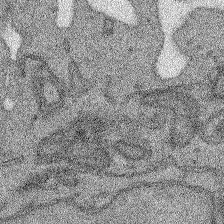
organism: Human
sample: HeLa cells